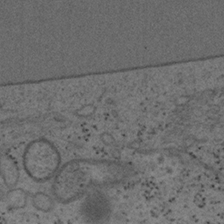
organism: Human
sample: HeLa cells